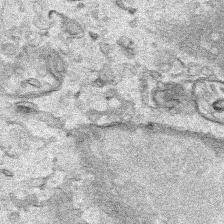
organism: Human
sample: Mitochondria in HCT116 cells